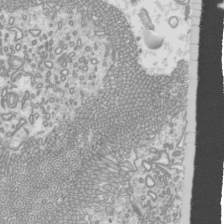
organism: Mouse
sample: Cilia; mouse epididymis